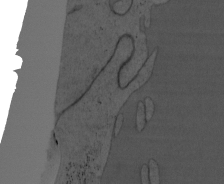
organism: Mouse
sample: OT-I killer T cells with ID8 ovarian cancer cells